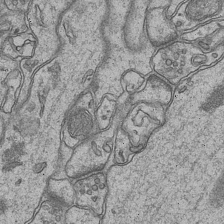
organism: Mouse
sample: CA1 Hippocampus